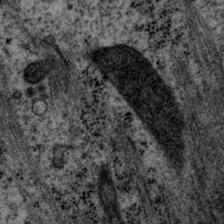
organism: P. pacificus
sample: Pharynx